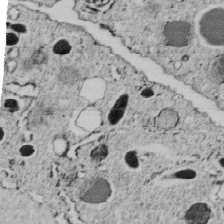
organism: C. elegans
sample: C. elegans embryo early stage